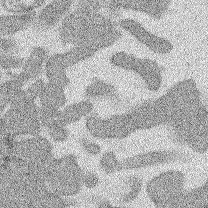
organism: Human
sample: HeLa cells